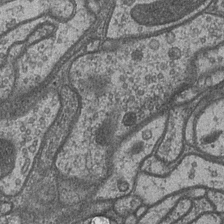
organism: Drosophila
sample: Optic medulla